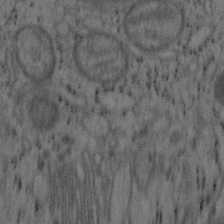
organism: Human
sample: HeLa cells